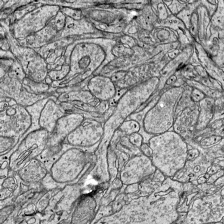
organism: Mouse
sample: Visual Cortex